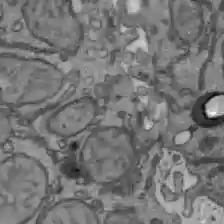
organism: C57BL Mouse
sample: Liver